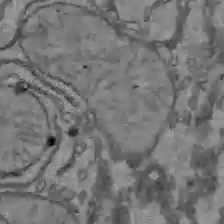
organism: C57BL Mouse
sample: Liver